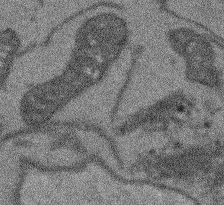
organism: Arabidopsis thaliana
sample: Root tip